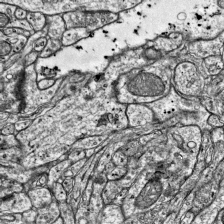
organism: Mouse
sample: Visual Cortex